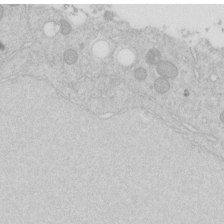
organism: C. elegans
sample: C. elegans embryo early stage